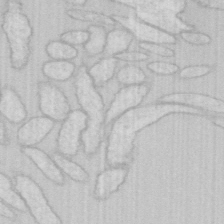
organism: Human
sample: HeLa cells